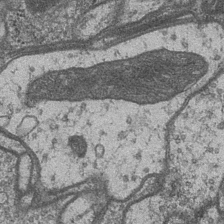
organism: Drosophila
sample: Optic medulla